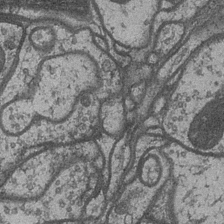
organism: Drosophila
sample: Optic medulla